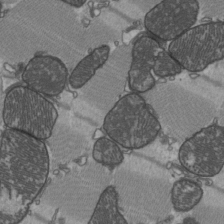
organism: C57BL Mouse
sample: Heart